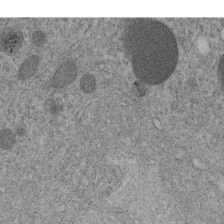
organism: C. elegans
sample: C. elegans embryo early stage